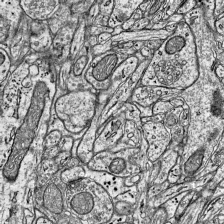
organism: Mouse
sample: Visual Cortex